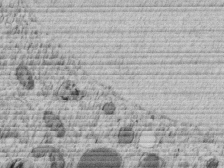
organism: C. elegans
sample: C. elegans embryo early stage